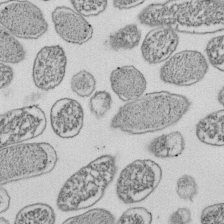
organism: E. coli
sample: Bacterial nucleoid